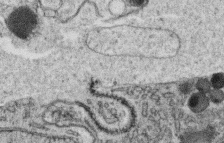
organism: C. elegans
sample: C. elegans oocyte; sperm cells